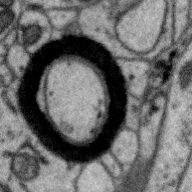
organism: Zebra finch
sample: Brain